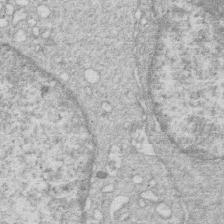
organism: Human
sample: Macrophage cells